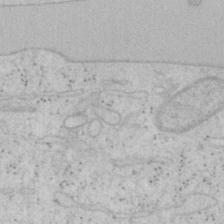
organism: Human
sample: HeLa cells